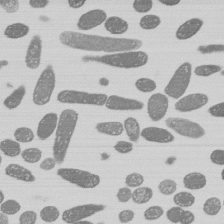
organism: E. coli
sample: Bacterial nucleoid